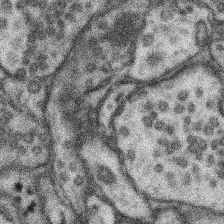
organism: Mouse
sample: Somatosensory cortex neuropil